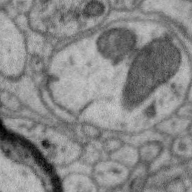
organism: Zebra finch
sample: Brain